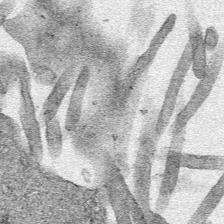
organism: Human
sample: Mitochondria in HCT116 cells